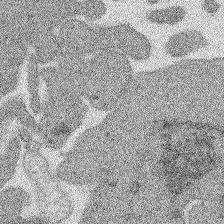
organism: Human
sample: HeLa cells